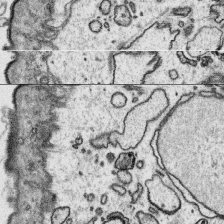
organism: Platynereis dumerilii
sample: Parapodia